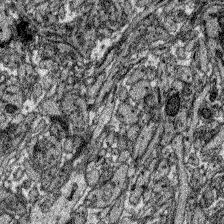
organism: Zebrafish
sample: Larval olfactory bulb